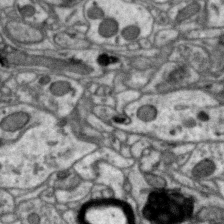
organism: Zebra finch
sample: Brain